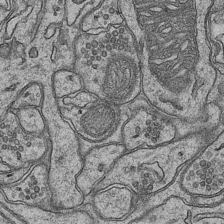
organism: Mouse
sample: CA1 Hippocampus